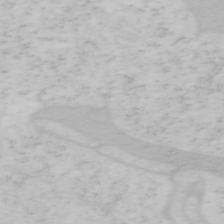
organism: Mouse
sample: OT-I killer T cells with ID8 ovarian cancer cells